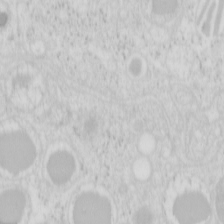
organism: Mouse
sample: Pancreas